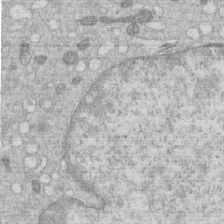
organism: Human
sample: Macrophage cells